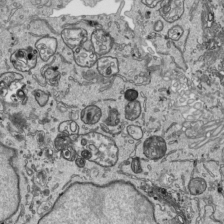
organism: Human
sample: Mitochondria in HCT116 cells